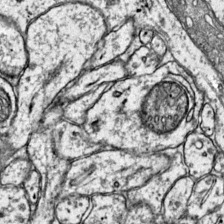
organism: Mouse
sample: Primary visual cortex